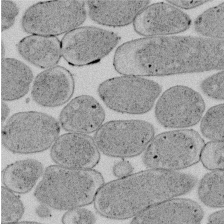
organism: E. coli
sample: Bacterial nucleoid